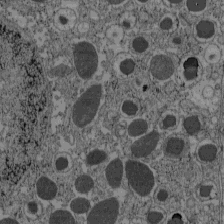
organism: C57BL Mouse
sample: Pancreatic islet